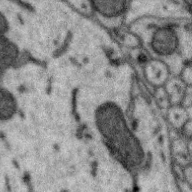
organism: Zebra finch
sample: Brain